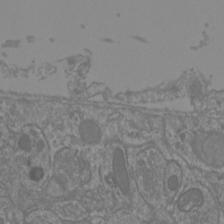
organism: Mouse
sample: Cortical neurons